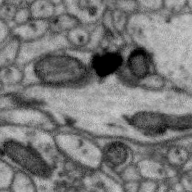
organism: Zebra finch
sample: Brain